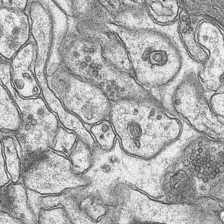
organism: Mouse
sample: CA1 Hippocampus